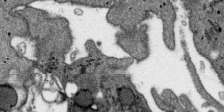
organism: Human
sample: Lung epithelial cells, uninfected (mock) control